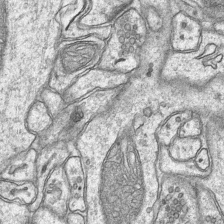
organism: Mouse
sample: CA1 Hippocampus